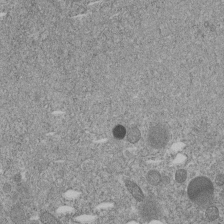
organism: C. elegans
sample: C. elegans embryo early stage